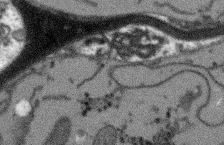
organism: Arabidopsis thaliana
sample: Root tip